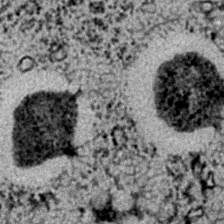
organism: C. elegans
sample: C. elegans embryo